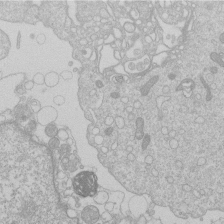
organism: Human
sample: Macrophage cells